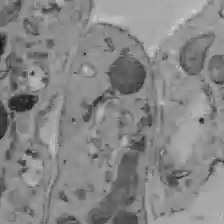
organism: C57BL Mouse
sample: Liver